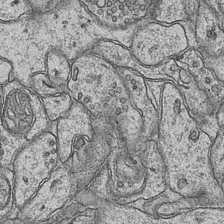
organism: Mouse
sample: CA1 Hippocampus